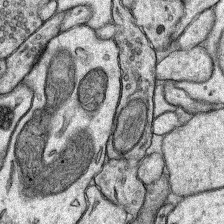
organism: Rat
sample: Hippocampus